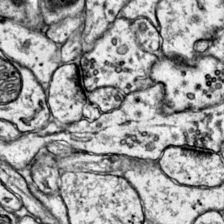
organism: Mouse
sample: Primary visual cortex